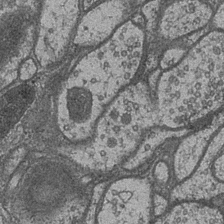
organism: Drosophila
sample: Optic medulla